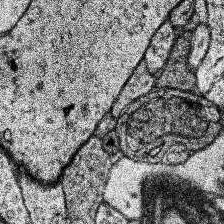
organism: Human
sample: Temporal Lobe